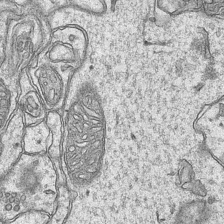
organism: Mouse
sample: CA1 Hippocampus